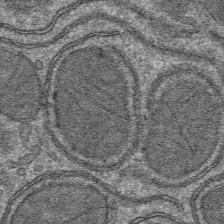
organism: Mouse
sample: Mouse hepatocytes